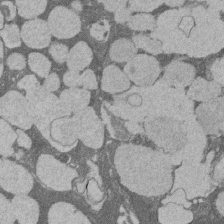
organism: Rat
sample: Salivary granule